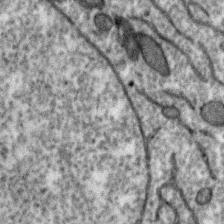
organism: Zebra finch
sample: Brain